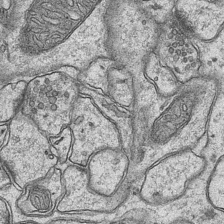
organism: Mouse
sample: CA1 Hippocampus